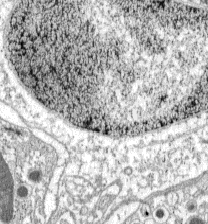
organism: C57BL Mouse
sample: Pancreatic islet